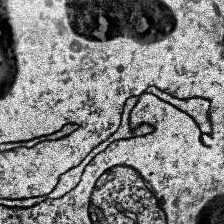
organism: Human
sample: Temporal Lobe